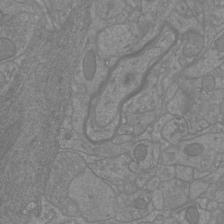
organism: Mouse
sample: Cortical neurons